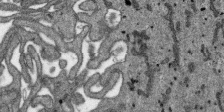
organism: Human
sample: Lung epithelial cells, uninfected (mock) control